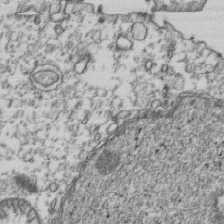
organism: Human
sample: Activated Jurkat CD4+ T cells